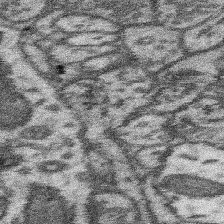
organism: Mouse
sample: Somatosensory cortex neuropil